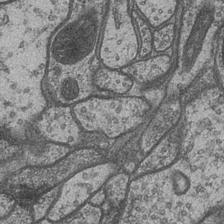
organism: Drosophila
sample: Optic medulla